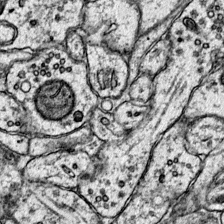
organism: Mouse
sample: Primary visual cortex